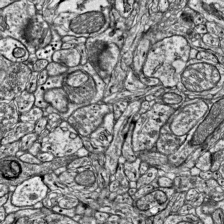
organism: Mouse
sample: Visual Cortex